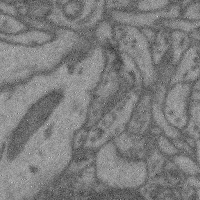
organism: Mouse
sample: Cerebral cortex